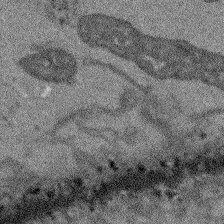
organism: Arabidopsis thaliana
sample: Root tip